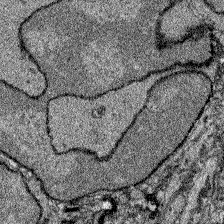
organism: Zebrafish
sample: Larval olfactory bulb